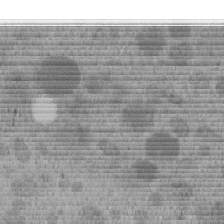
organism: C. elegans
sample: C. elegans embryo early stage